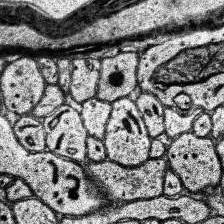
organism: Human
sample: Temporal Lobe